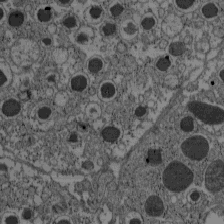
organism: C57BL Mouse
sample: Pancreatic islet